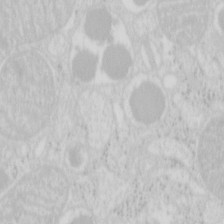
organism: Mouse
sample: Pancreas